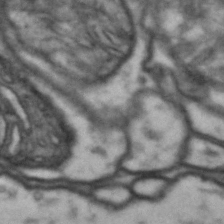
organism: Drosophila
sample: Brain